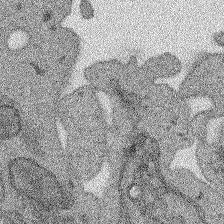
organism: Human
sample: HeLa cells